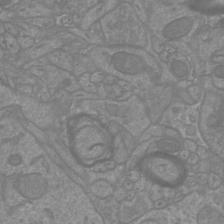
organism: Mouse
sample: Cortical neurons